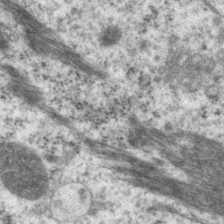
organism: P. pacificus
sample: Pharynx